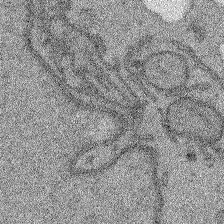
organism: Human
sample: HeLa cells